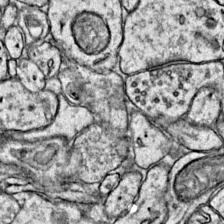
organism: Mouse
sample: Primary visual cortex